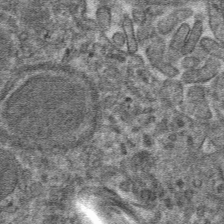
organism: Mouse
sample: Mouse hepatocytes